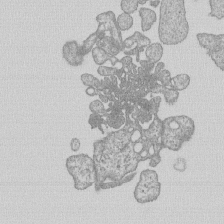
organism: Human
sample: MDA-MB-231 cells